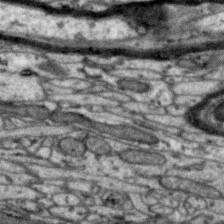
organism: Zebra finch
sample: Brain